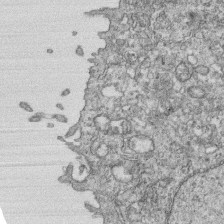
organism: Human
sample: HeLa cell HIV synapse